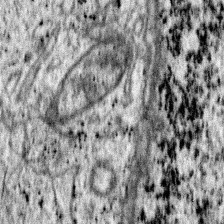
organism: Human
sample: HeLa cells